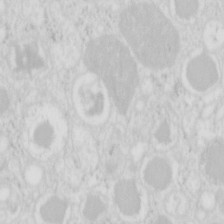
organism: Mouse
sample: Pancreas